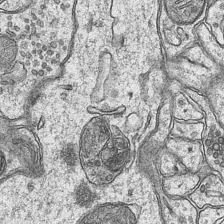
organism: Mouse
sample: CA1 Hippocampus